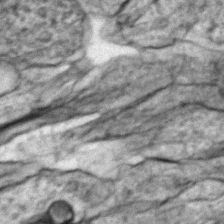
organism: Zebrafish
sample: Zebrafish embryo